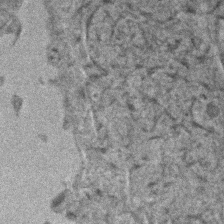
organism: Human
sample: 1205lu cells